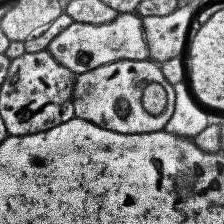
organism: Human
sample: Temporal Lobe